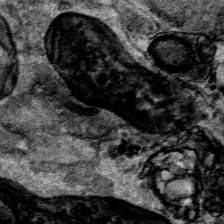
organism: Human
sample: Mitochondria in HCT116 cells